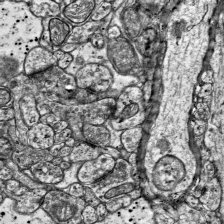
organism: Mouse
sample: Visual Cortex